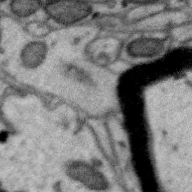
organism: Zebra finch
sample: Brain